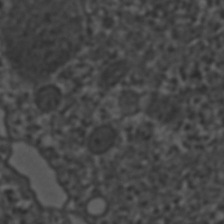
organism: C. elegans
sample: C. elegans embryo